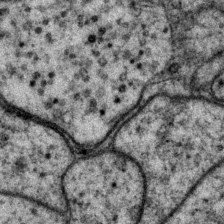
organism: P. pacificus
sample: Pharynx